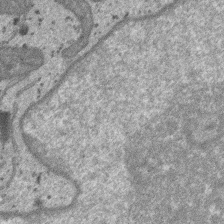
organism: Human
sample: Lung epithelial cells infected with SARS-CoV-2